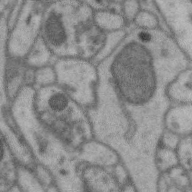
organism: Zebra finch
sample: Brain